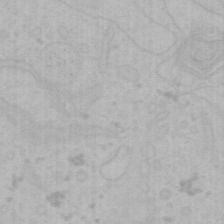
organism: Mouse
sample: Choroid plexus